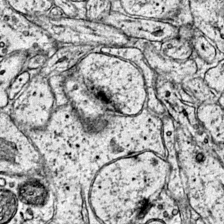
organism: Mouse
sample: Primary visual cortex